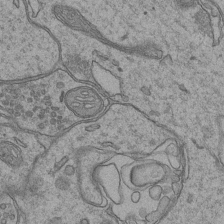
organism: Mouse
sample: CA1 Hippocampus